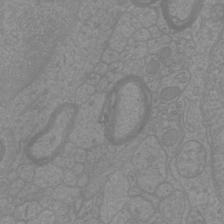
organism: Mouse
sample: Cortical neurons